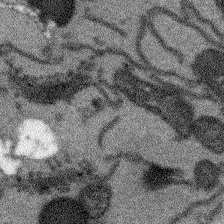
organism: Arabidopsis thaliana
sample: Root tip